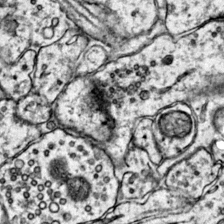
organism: Mouse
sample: Primary visual cortex